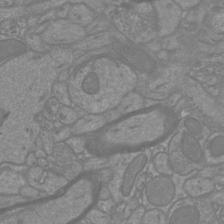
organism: Mouse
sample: Cortical neurons